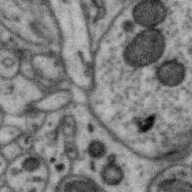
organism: Zebra finch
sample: Brain